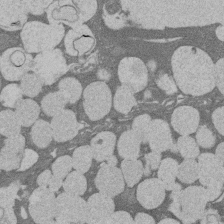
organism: Rat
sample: Salivary granule